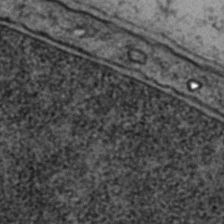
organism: Zebrafish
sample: Zebrafish embryo